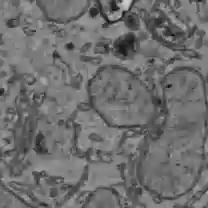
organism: C57BL Mouse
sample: Liver